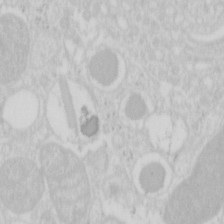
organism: Mouse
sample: Pancreas